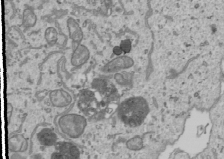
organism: Human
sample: Mitochondria in U2OS cells